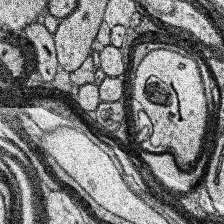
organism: Human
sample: Temporal Lobe